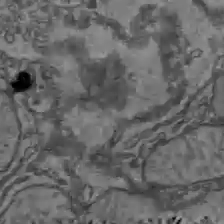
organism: C57BL Mouse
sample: Liver